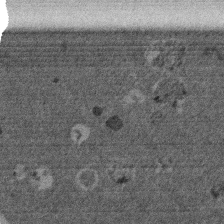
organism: Mouse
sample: Dividing mouse embryo 1 cell stage